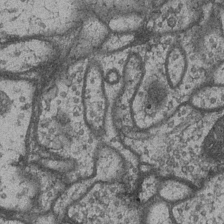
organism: Drosophila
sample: Optic medulla